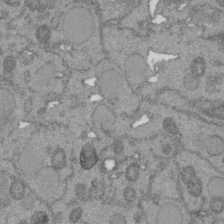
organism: C. elegans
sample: C. elegans embryo early stage